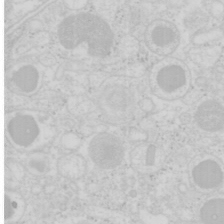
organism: Mouse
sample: Pancreas